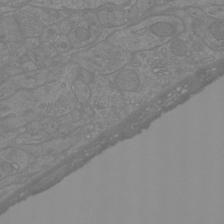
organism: Mouse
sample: Cortical neurons